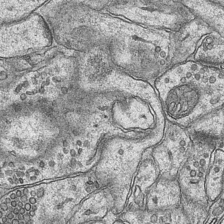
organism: Mouse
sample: CA1 Hippocampus